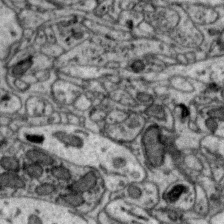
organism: Zebra finch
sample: Brain